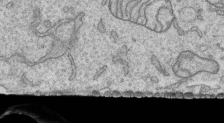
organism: Human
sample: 1205lu cells